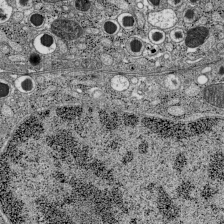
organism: C57BL Mouse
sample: Pancreatic islet